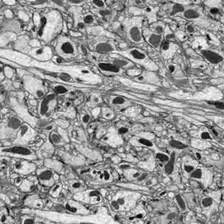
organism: Drosophila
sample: Optic lobe